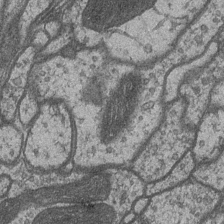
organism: Drosophila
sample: Optic medulla